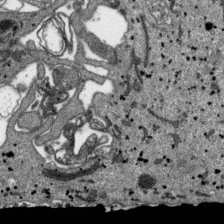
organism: Human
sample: Lung epithelial cells, uninfected (mock) control